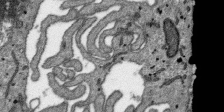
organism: Human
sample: Lung epithelial cells, uninfected (mock) control